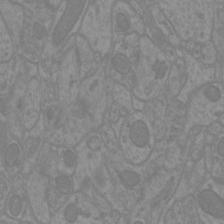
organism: Mouse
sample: Cortical neurons